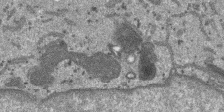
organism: Human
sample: Lung epithelial cells infected with SARS-CoV-2